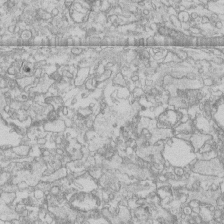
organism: Human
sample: CRL-1474